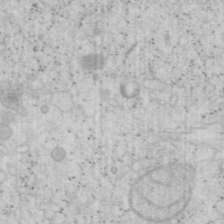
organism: Human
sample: HeLa cells